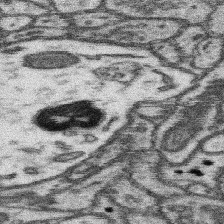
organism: Mouse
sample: Somatosensory cortex neuropil